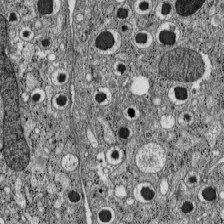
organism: C57BL Mouse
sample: Pancreatic islet